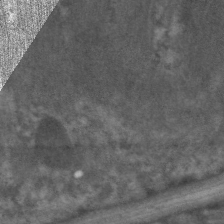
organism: C. elegans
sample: Pharynx